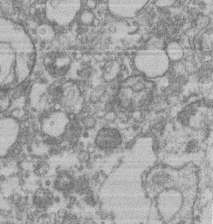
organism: Mouse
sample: T cell stromal cell synapse